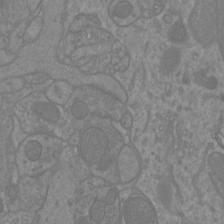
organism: Mouse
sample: Cortical neurons